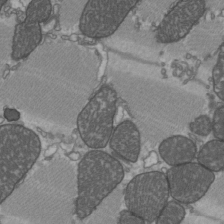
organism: C57BL Mouse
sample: Heart